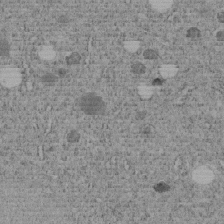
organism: C. elegans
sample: C. elegans embryo early stage